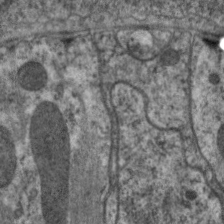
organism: C. elegans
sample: Pharynx